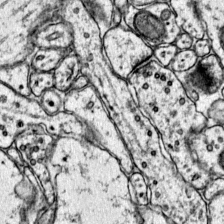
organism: Mouse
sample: Primary visual cortex